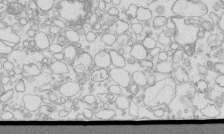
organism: Mouse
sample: Macrophages